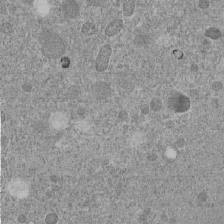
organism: C. elegans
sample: C. elegans embryo early stage